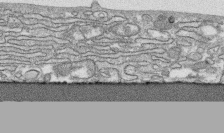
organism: Human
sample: CRL-1474